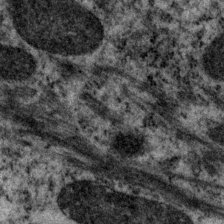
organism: P. pacificus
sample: Pharynx